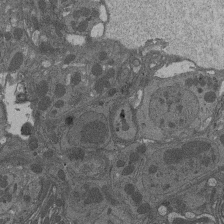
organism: Drosophila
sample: Antenna